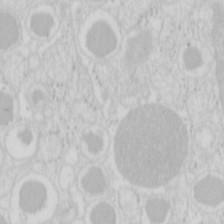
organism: Mouse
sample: Pancreas